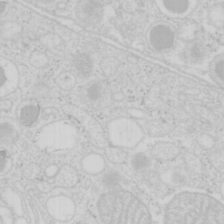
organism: Mouse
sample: Pancreas